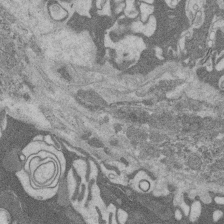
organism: Rat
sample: Salivary granule